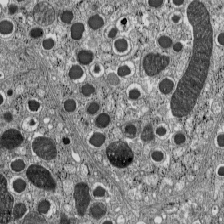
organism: C57BL Mouse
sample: Pancreatic islet